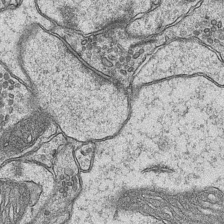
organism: Mouse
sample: CA1 Hippocampus